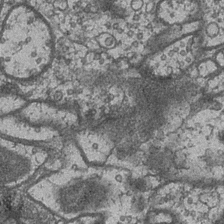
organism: Drosophila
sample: Optic medulla